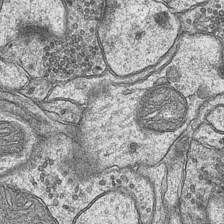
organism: Mouse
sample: CA1 Hippocampus